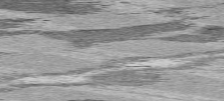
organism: C57BL Mouse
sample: Heart